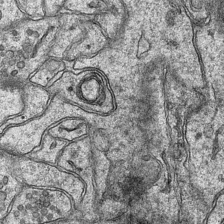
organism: Mouse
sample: CA1 Hippocampus